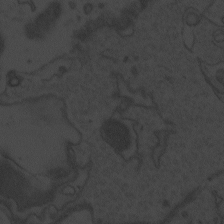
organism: Zebrafish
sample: Macrophage infected with Toxoplasma gondii